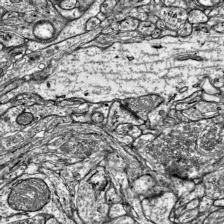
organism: Mouse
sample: Visual Cortex